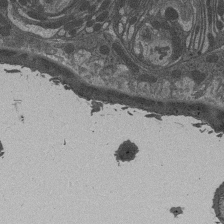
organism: Drosophila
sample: Antenna